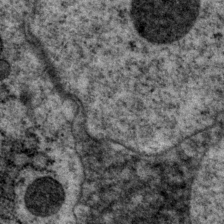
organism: P. pacificus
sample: Pharynx